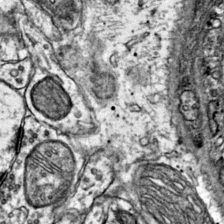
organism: Mouse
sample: Primary visual cortex